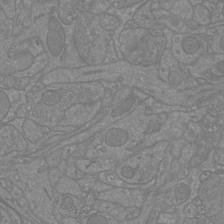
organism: Mouse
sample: Cortical neurons